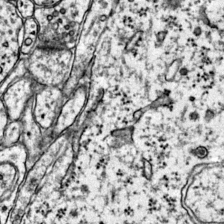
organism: Mouse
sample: Primary visual cortex